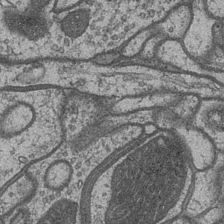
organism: Drosophila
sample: Optic medulla